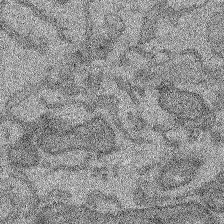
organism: Human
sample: HeLa cells